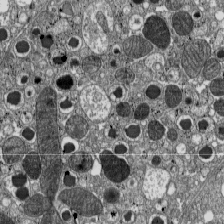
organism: C57BL Mouse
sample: Pancreatic islet